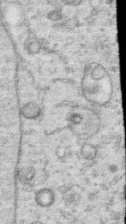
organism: Human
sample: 1205lu cells